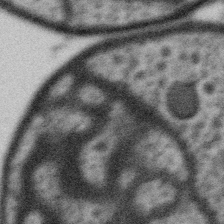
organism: Gemmata obscuriglobus